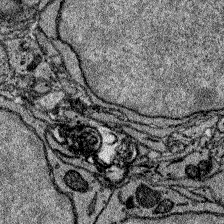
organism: Zebrafish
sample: Larval olfactory bulb